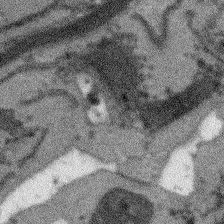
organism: Arabidopsis thaliana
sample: Root tip